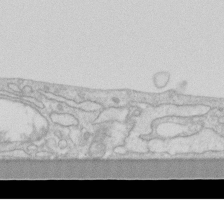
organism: Human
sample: Fibroblast cells